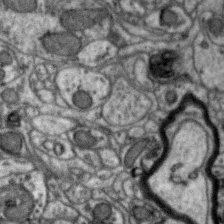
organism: Zebra finch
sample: Brain